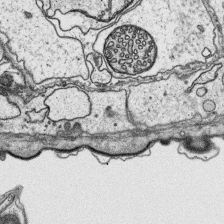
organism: Platynereis dumerilii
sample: Parapodia